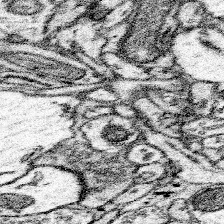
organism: Mouse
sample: Somatosensory cortex neuropil